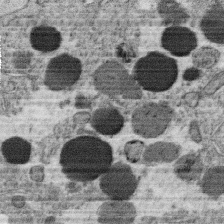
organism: C. elegans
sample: C. elegans oocyte; sperm cells